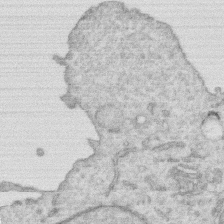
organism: Human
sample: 1205lu cells